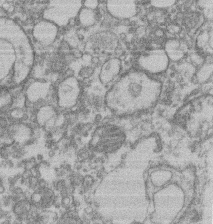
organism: Mouse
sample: T cell stromal cell synapse